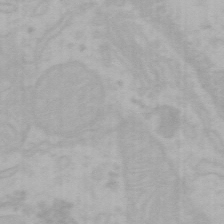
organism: Mouse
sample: Choroid plexus